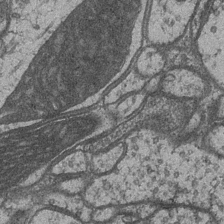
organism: Drosophila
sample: Optic medulla